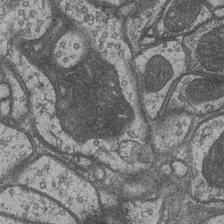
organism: Drosophila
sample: Optic medulla